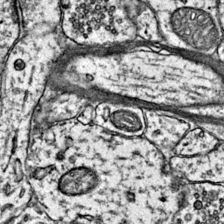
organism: Mouse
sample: Primary visual cortex